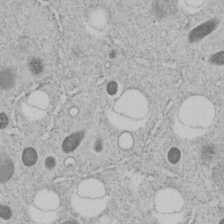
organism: C. elegans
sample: C. elegans embryo early stage